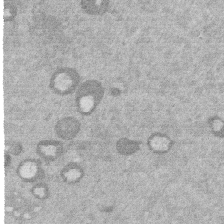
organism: Mouse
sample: Dividing mouse embryo 1 cell stage